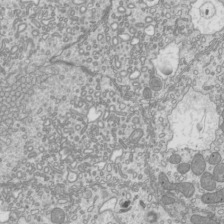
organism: Mouse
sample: Cilia; mouse epididymis